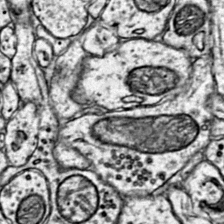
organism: Mouse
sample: Primary visual cortex